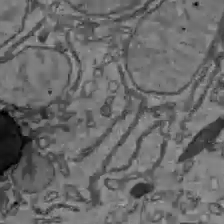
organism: C57BL Mouse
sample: Liver